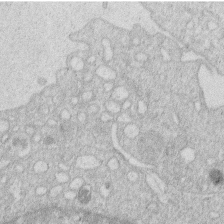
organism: Human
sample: Macrophage cells